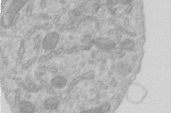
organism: Human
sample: Centriole in RPE cells